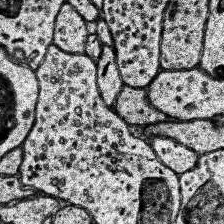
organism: Human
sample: Temporal Lobe